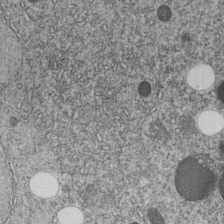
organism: C. elegans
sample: C. elegans embryo early stage